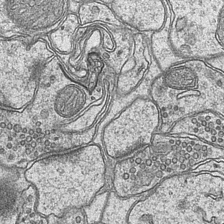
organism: Mouse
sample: CA1 Hippocampus